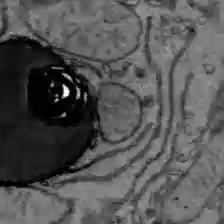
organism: C57BL Mouse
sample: Liver